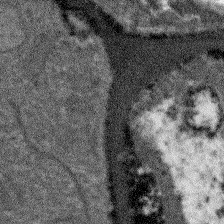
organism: Arabidopsis thaliana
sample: Root tip